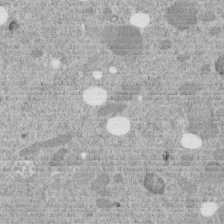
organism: C. elegans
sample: C. elegans embryo early stage